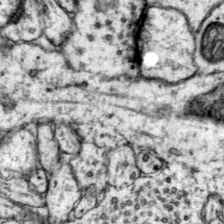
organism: Mouse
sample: Primary visual cortex